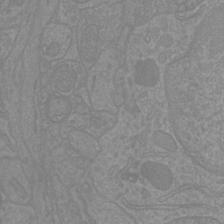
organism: Mouse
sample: Cortical neurons